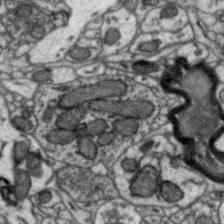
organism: Zebra finch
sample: Brain